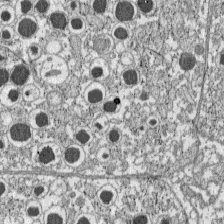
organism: C57BL Mouse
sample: Pancreatic islet